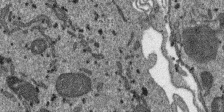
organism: Human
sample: Lung epithelial cells infected with SARS-CoV-2